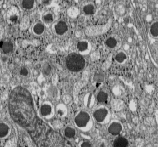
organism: C57BL Mouse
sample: Pancreatic islet